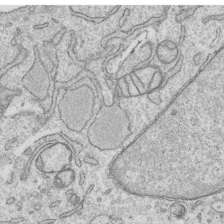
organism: Human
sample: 1205lu cells